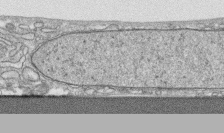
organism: Human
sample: CRL-1474